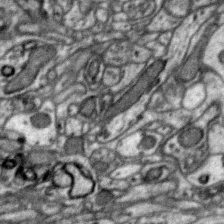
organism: Zebra finch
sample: Brain